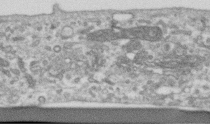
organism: Human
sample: Centriole in RPE cells